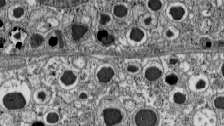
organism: C57BL Mouse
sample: Pancreatic islet